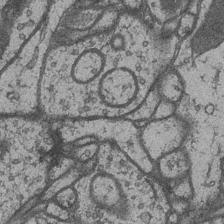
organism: Drosophila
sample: Optic medulla